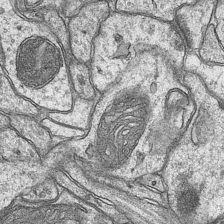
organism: Mouse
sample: CA1 Hippocampus